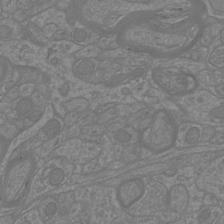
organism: Mouse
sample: Cortical neurons